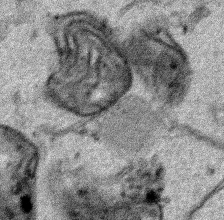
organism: Human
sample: Mitochondria in HCT116 cells